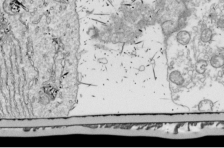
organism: Drosophila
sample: Cell division; meiosis; drosophila spermatocytes